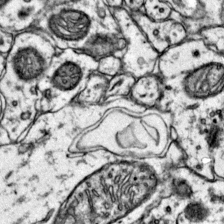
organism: Mouse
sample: Primary visual cortex